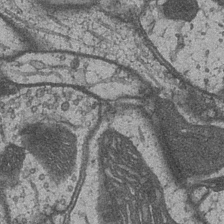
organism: Drosophila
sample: Optic medulla